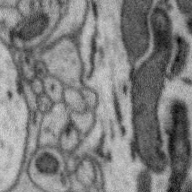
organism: Zebra finch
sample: Brain